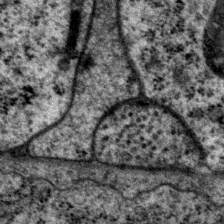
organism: P. pacificus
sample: Pharynx